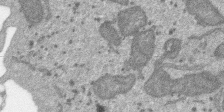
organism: Human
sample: Lung epithelial cells infected with SARS-CoV-2